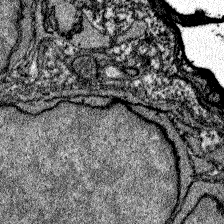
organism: Zebrafish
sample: Larval olfactory bulb